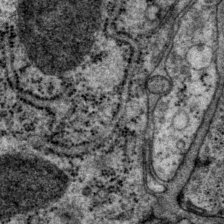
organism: P. pacificus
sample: Pharynx